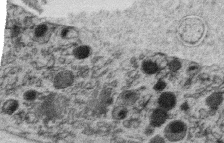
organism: C. elegans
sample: C. elegans oocyte; sperm cells